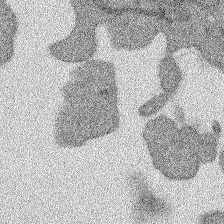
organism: Human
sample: HeLa cells